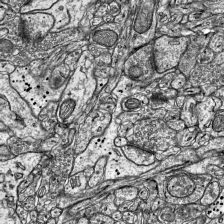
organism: Mouse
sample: Visual Cortex